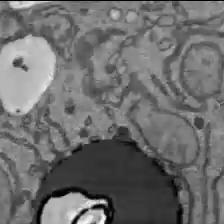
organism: C57BL Mouse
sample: Liver